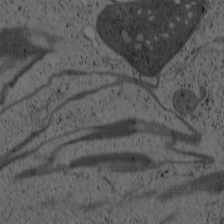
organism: African green monkey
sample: COS-7 cells